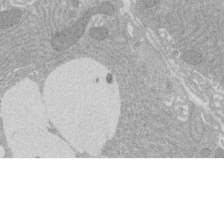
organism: Rat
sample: Salivary granule